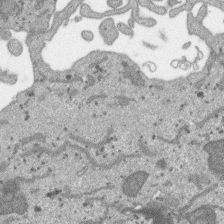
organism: Human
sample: Lung epithelial cells infected with SARS-CoV-2